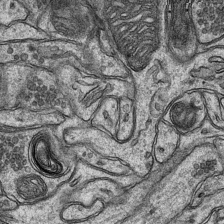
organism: Mouse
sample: CA1 Hippocampus